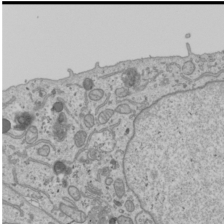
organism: Human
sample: Mitochondria in U2OS cells